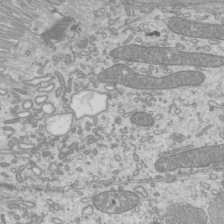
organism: Mouse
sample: Cilia; mouse epididymis